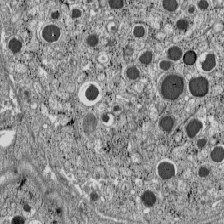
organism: C57BL Mouse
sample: Pancreatic islet